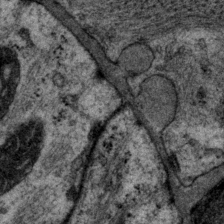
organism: P. pacificus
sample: Pharynx